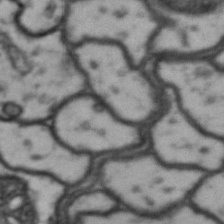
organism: Drosophila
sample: Brain